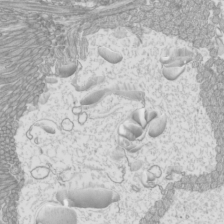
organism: Mouse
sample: Cilia; mouse epididymis